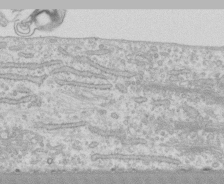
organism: Human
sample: CRL-1474